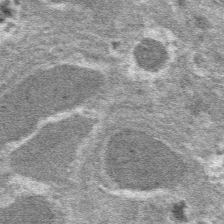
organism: Mouse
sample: Mouse hepatocytes